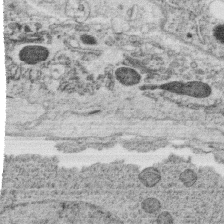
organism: C. elegans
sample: C. elegans oocyte; sperm cells